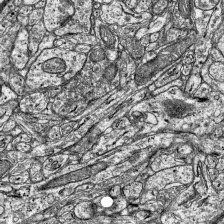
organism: Mouse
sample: Visual Cortex